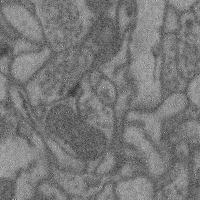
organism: Mouse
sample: Cerebral cortex